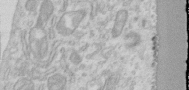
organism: Human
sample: Centriole in RPE cells